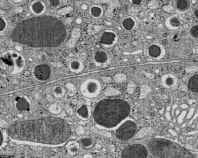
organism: C57BL Mouse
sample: Pancreatic islet